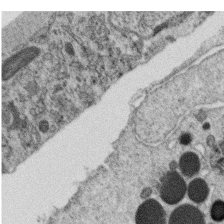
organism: C. elegans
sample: C. elegans oocyte; sperm cells